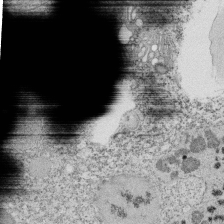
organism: Tetrahymena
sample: Cilia in tetrahymena